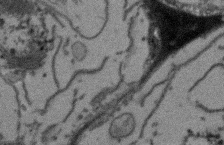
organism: Arabidopsis thaliana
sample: Root tip